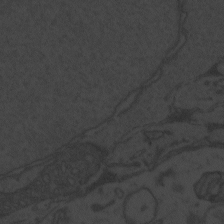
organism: Zebrafish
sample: Macrophage infected with Toxoplasma gondii